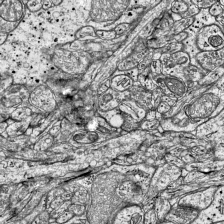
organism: Mouse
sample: Visual Cortex